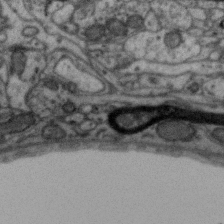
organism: Zebra finch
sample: Brain